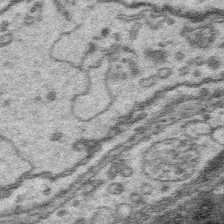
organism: Platynereis dumerilii